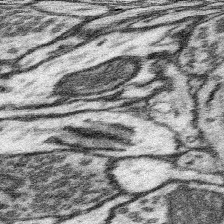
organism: Mouse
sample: Somatosensory cortex neuropil